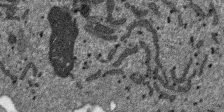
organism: Human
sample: Lung epithelial cells infected with SARS-CoV-2